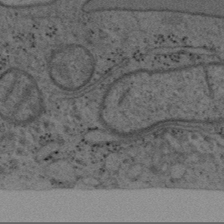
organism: Human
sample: HeLa cells